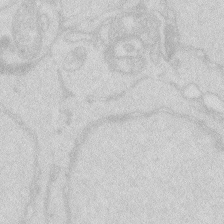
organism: Zebrafish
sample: Macrophage